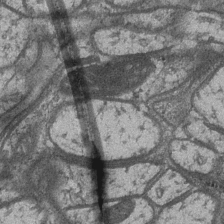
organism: Drosophila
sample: Optic medulla